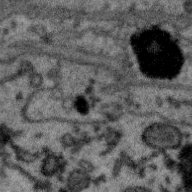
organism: Zebra finch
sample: Brain